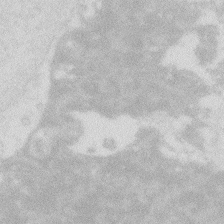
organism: Zebrafish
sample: Macrophage